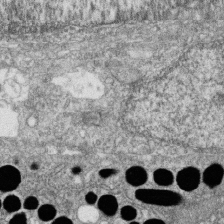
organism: Zebrafish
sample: Cilia; retinal pigment epithelium